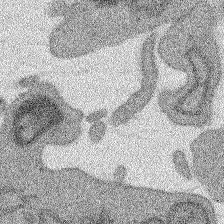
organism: Human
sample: HeLa cells